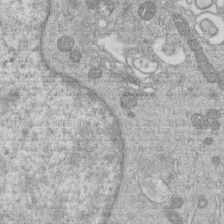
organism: Human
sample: Macrophage cells